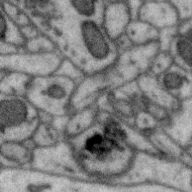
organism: Zebra finch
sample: Brain